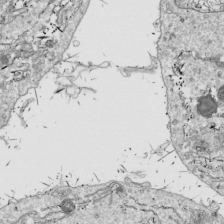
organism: Drosophila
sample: Cell division; meiosis; drosophila spermatocytes